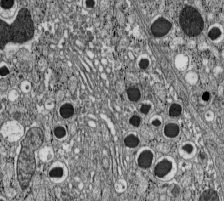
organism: C57BL Mouse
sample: Pancreatic islet